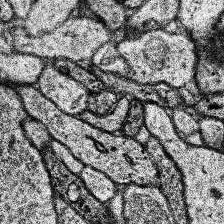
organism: Human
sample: Temporal Lobe